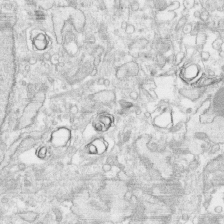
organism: Human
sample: CRL-1474